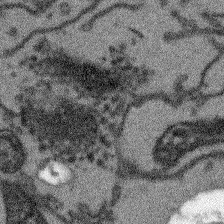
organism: Arabidopsis thaliana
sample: Root tip